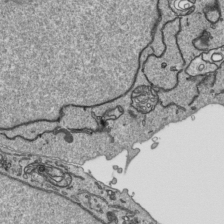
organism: Human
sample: Mitochondria in HCT116 cells